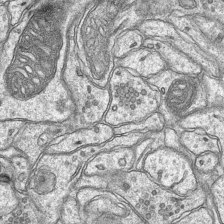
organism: Mouse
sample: CA1 Hippocampus